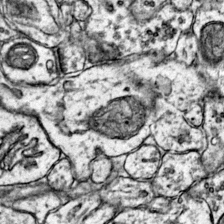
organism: Mouse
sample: Primary visual cortex